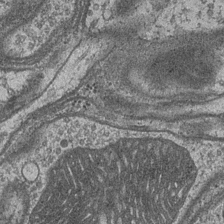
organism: Drosophila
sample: Optic medulla